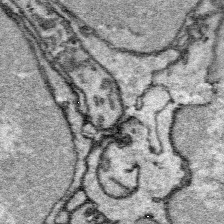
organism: Platynereis dumerilii